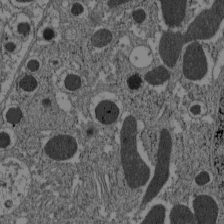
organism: C57BL Mouse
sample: Pancreatic islet